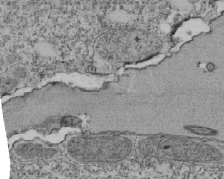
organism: Tetrahymena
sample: Cilia in tetrahymena